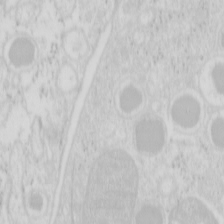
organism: Mouse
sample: Pancreas